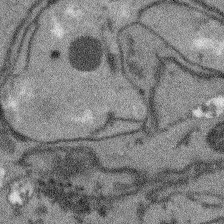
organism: Arabidopsis thaliana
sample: Root tip